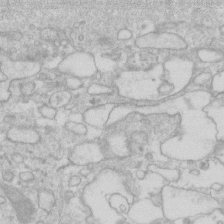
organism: Human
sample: Fibroblast cells